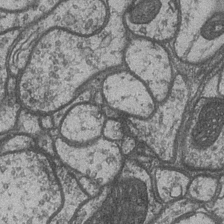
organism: Drosophila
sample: Optic medulla